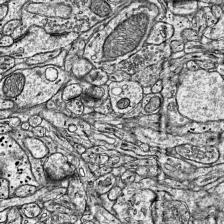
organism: Mouse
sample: Visual Cortex